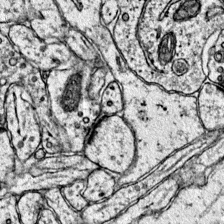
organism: Mouse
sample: Primary visual cortex